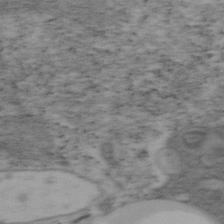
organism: Mouse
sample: OT-I killer T cells with ID8 ovarian cancer cells